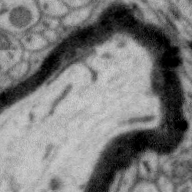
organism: Zebra finch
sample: Brain